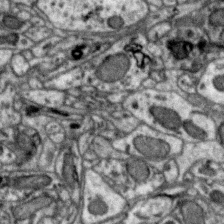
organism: Zebra finch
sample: Brain